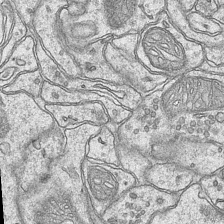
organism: Mouse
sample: CA1 Hippocampus